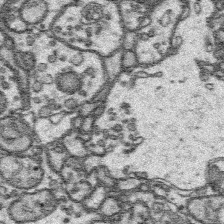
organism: Platynereis dumerilii